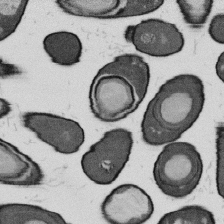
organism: B. subtilis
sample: Bacterial spore